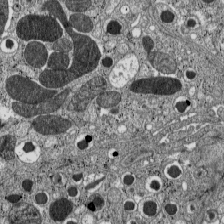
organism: C57BL Mouse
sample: Pancreatic islet